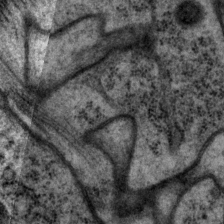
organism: P. pacificus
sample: Pharynx